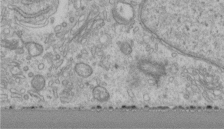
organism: Human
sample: Centriole in RPE cells